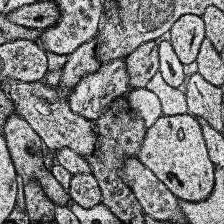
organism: Human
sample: Temporal Lobe